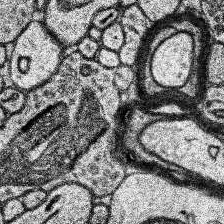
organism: Human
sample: Temporal Lobe